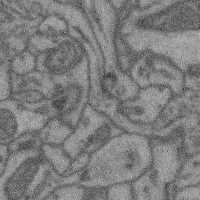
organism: Mouse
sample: Cerebral cortex